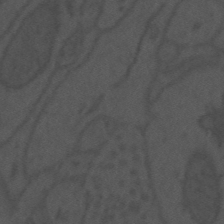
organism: Mouse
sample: Suprachiasmatic nucleus